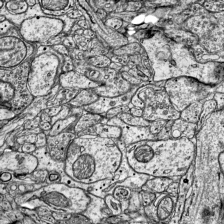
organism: Mouse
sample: Visual Cortex